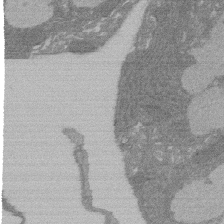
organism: Rat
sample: Salivary granule